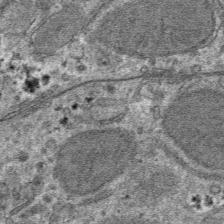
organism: Mouse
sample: Mouse hepatocytes